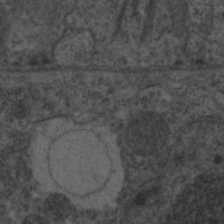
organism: C. elegans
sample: Pharynx